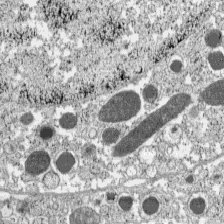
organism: C57BL Mouse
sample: Pancreatic islet